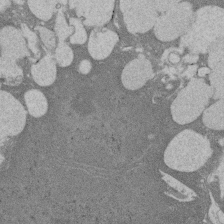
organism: Rat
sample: Salivary granule